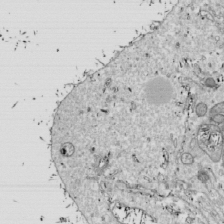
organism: Drosophila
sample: Cell division; meiosis; drosophila spermatocytes